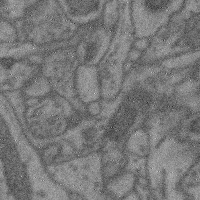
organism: Mouse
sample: Cerebral cortex